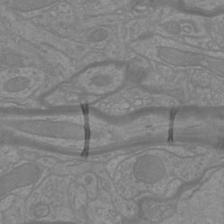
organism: Mouse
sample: Cortical neurons